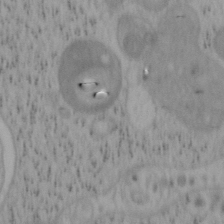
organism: Mouse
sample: OT-I killer T cells with ID8 ovarian cancer cells